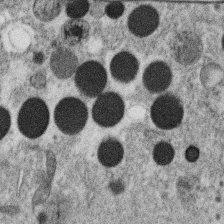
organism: C. elegans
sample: C. elegans oocyte; sperm cells